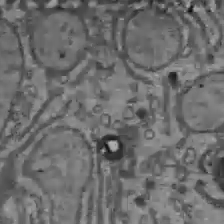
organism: C57BL Mouse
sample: Liver